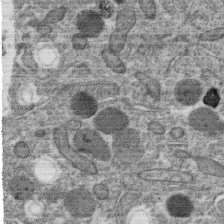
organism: C. elegans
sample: C. elegans oocyte; sperm cells